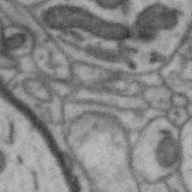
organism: Zebra finch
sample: Brain